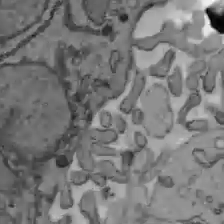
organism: C57BL Mouse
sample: Liver